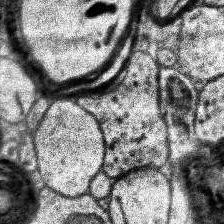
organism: Human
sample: Temporal Lobe